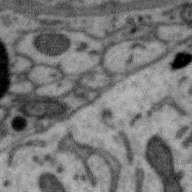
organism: Zebra finch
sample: Brain